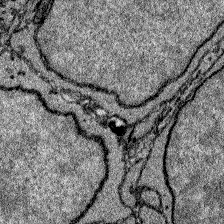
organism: Zebrafish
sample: Larval olfactory bulb